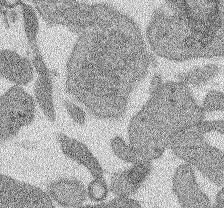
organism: Human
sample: HeLa cells